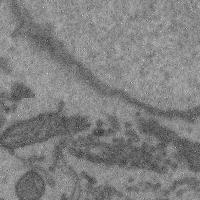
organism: Mouse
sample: Cerebral cortex